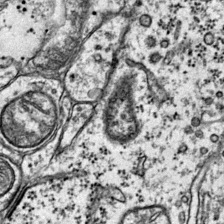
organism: Mouse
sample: Primary visual cortex